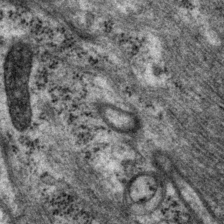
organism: P. pacificus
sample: Pharynx